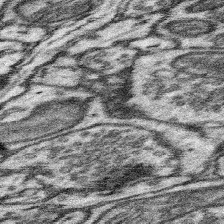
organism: Mouse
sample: Somatosensory cortex neuropil